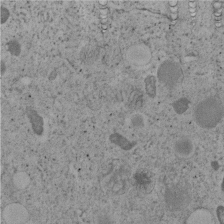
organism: C. elegans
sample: C. elegans embryo early stage